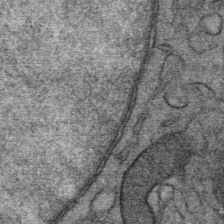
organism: Mouse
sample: Mouse Salivary gland